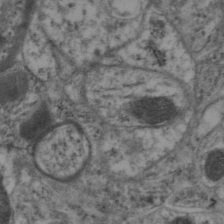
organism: Mouse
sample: Neocortex